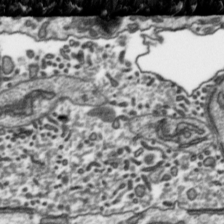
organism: Toxoplasma gondii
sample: Parasites in a vacuole inside a host cell